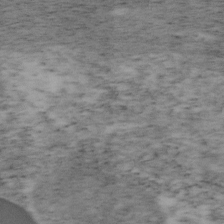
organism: Mouse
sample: OT-I killer T cells with ID8 ovarian cancer cells